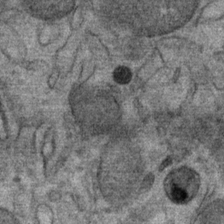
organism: Mouse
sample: Mouse Salivary gland